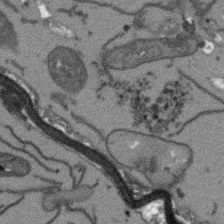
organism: Arabidopsis thaliana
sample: Root tip